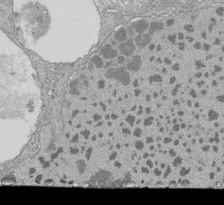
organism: Tetrahymena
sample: Cilia in tetrahymena